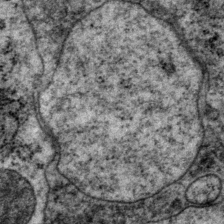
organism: P. pacificus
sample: Pharynx